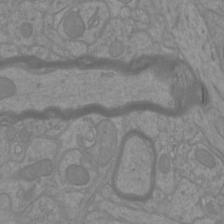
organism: Mouse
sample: Cortical neurons